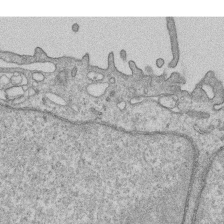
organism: Human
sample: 1205lu cells